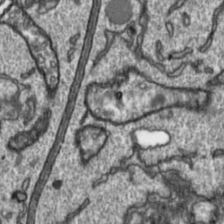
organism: Toxoplasma gondii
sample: Parasites in a vacuole inside a host cell